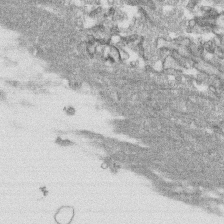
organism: Human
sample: CRL-1474